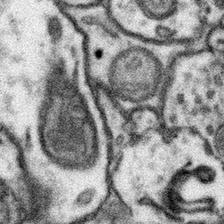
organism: Mouse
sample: Somatosensory cortex neuropil